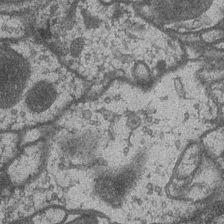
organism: Drosophila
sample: Optic medulla